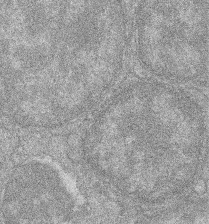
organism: Zebrafish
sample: Cilia; retinal pigment epithelium